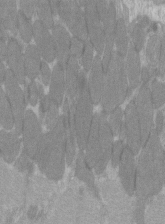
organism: C57BL Mouse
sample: Tibialis anterior muscle cell